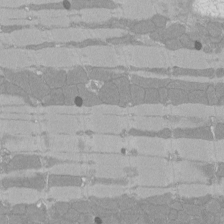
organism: Rat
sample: Left ventricle